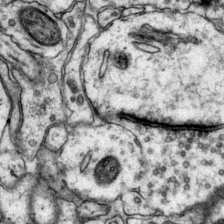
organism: Mouse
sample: Primary visual cortex